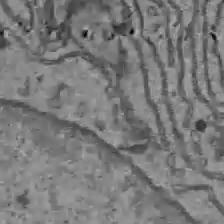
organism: C57BL Mouse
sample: Liver